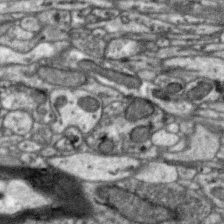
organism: Zebra finch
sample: Brain